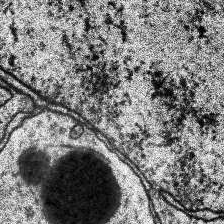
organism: Human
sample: Temporal Lobe